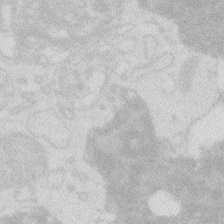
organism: Zebrafish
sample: Macrophage